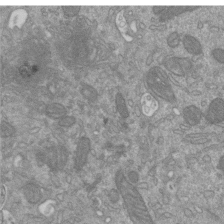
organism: Mouse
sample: ED-1 cell nuclei; centrioles